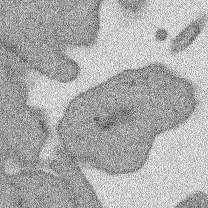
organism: Human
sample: HeLa cells